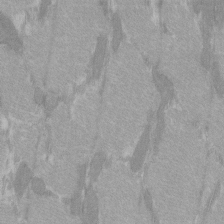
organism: C57BL Mouse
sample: Tibialis anterior muscle cell